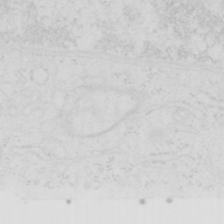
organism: Human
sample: SUM-159 cell